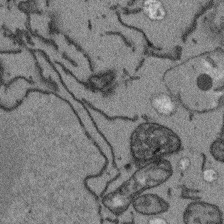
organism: Arabidopsis thaliana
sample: Root tip